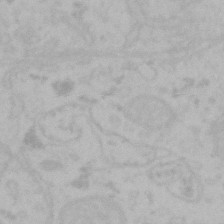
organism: Mouse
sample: Choroid plexus